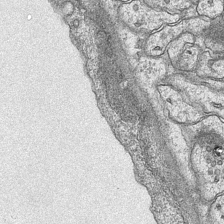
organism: Mouse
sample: CA1 Hippocampus